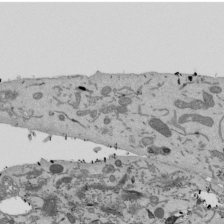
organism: Mouse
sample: ED-1 cell nuclei; centrioles